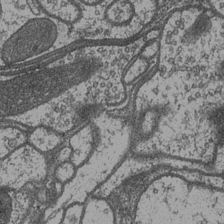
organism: Drosophila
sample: Optic medulla